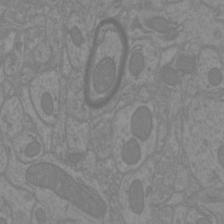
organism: Mouse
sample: Cortical neurons